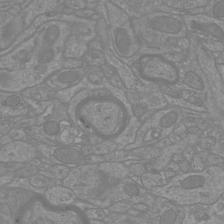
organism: Mouse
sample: Cortical neurons